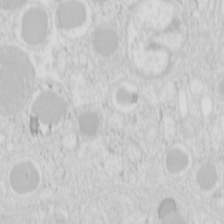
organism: Mouse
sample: Pancreas